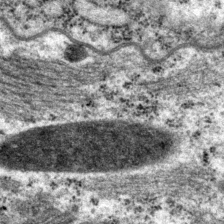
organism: P. pacificus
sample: Pharynx